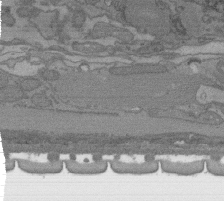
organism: C. elegans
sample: AFD neurons C. elegans